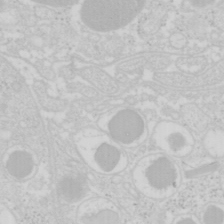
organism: Mouse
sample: Pancreas